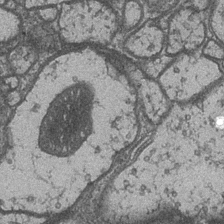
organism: Drosophila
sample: Optic medulla